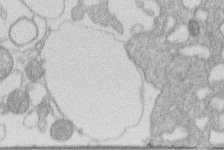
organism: Human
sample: Macrophage cells